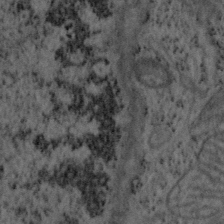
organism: Human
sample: HeLa cells